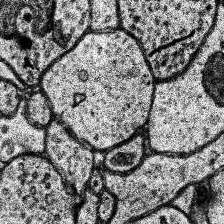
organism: Human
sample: Temporal Lobe